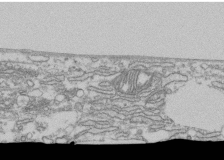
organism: Human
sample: Fibroblast cells